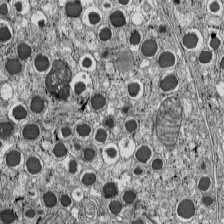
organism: C57BL Mouse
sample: Pancreatic islet